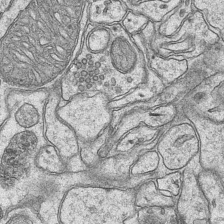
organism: Mouse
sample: CA1 Hippocampus